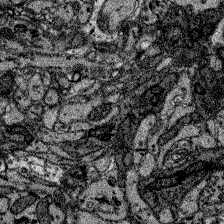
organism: Zebrafish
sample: Larval olfactory bulb